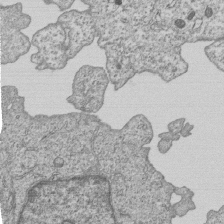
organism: Human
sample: MDA-MB-231 cells